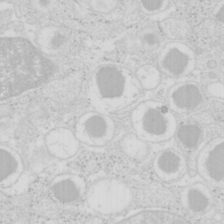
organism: Mouse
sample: Pancreas